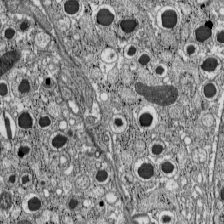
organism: C57BL Mouse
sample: Pancreatic islet